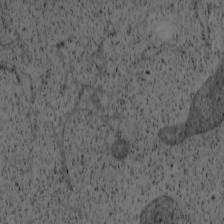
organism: African green monkey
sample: COS-7 cells